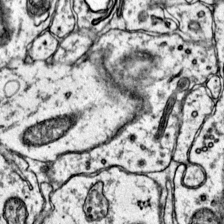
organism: Mouse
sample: Primary visual cortex